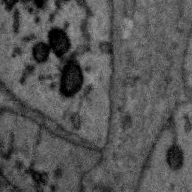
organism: Zebra finch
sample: Brain